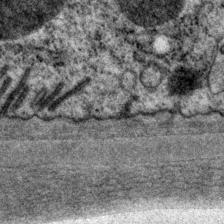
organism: P. pacificus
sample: Pharynx